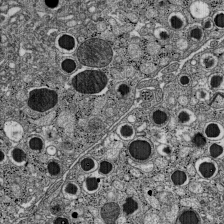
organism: C57BL Mouse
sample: Pancreatic islet